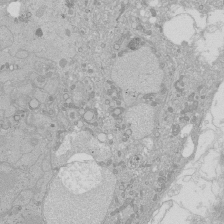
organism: Human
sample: Caco-2 cells